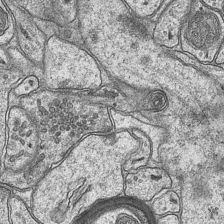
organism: Mouse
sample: CA1 Hippocampus